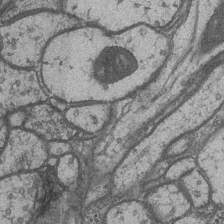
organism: Drosophila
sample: Optic medulla